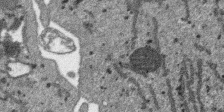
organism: Human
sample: Lung epithelial cells infected with SARS-CoV-2